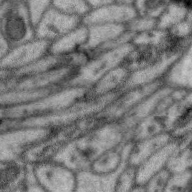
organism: Zebra finch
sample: Brain